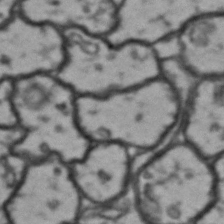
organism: Drosophila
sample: Brain